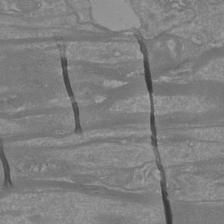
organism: Mouse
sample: Cortical neurons